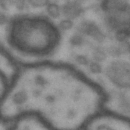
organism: Drosophila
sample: Brain